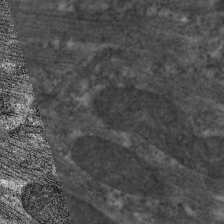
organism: C. elegans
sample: Pharynx